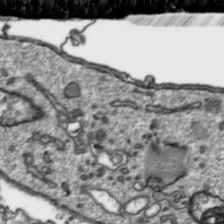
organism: Toxoplasma gondii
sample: Parasites in a vacuole inside a host cell